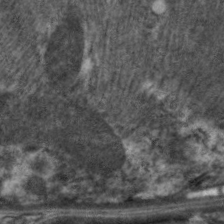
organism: C. elegans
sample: Pharynx